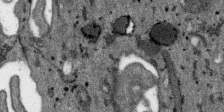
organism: Human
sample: Lung epithelial cells, uninfected (mock) control